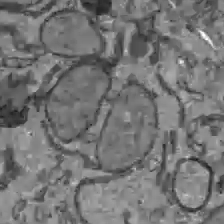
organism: C57BL Mouse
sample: Liver